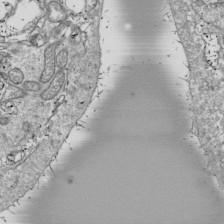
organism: Drosophila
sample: Cell division; meiosis; drosophila spermatocytes